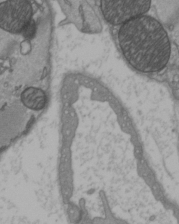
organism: C57BL Mouse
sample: Heart